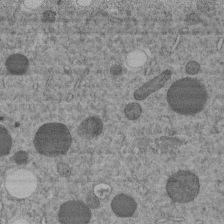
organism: C. elegans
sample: C. elegans embryo early stage